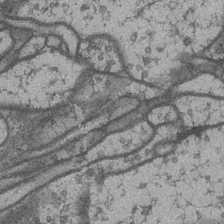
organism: Drosophila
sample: Optic medulla